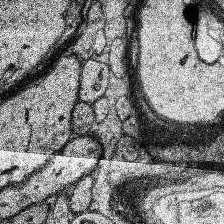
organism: Human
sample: Temporal Lobe